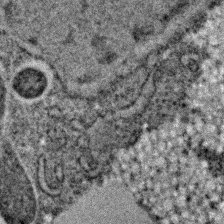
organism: C. elegans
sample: C. elegans embryo